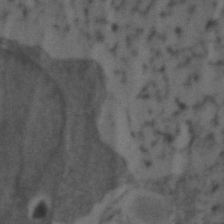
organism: Zebrafish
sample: Zebrafish embryo